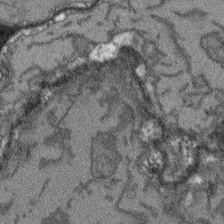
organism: Arabidopsis thaliana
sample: Root tip